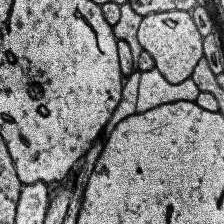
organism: Human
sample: Temporal Lobe